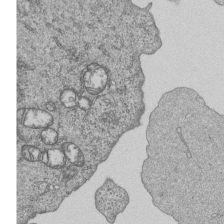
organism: Human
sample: MDA-MB-231 cells